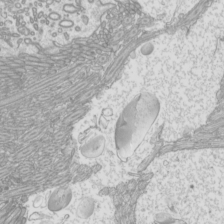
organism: Mouse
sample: Cilia; mouse epididymis